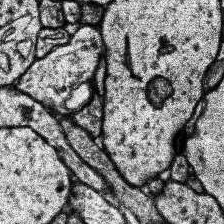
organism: Human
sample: Temporal Lobe